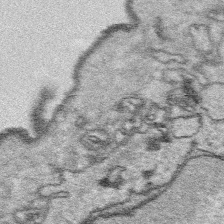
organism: Platynereis dumerilii